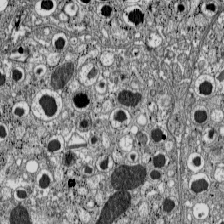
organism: C57BL Mouse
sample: Pancreatic islet